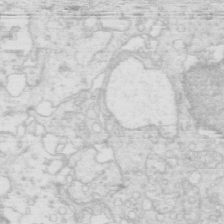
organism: Mouse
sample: Multiciliated cells